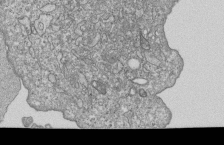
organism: Human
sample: MDA-MB-231 cells